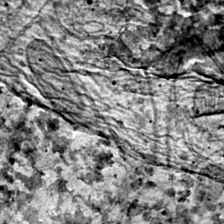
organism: Mouse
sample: Primary visual cortex